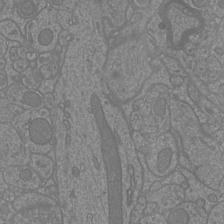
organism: Mouse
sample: Cortical neurons